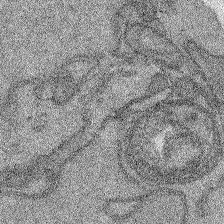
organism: Human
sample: HeLa cells